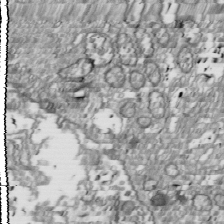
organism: Drosophila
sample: Cell division; meiosis; drosophila spermatocytes